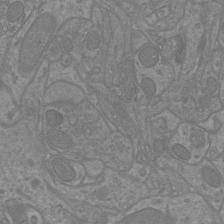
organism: Mouse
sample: Cortical neurons